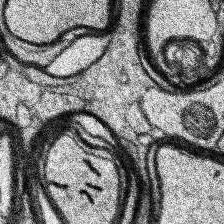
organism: Human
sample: Temporal Lobe